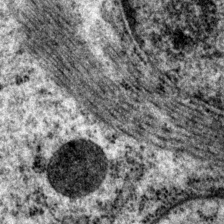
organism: P. pacificus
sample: Pharynx